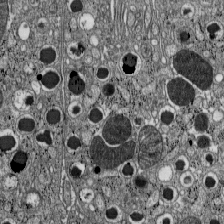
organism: C57BL Mouse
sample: Pancreatic islet